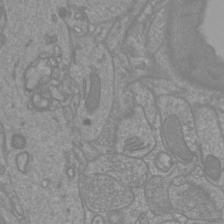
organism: Mouse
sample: Cortical neurons